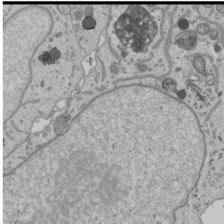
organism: Human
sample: Mitochondria in U2OS cells